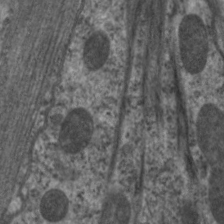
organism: C. elegans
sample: Pharynx